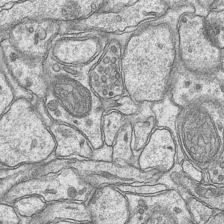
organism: Mouse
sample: CA1 Hippocampus